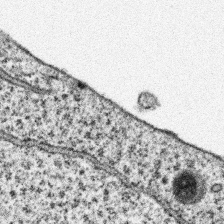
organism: Human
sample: HeLa cells